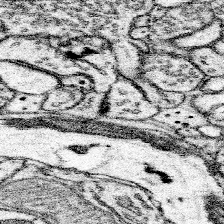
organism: Mouse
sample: Somatosensory cortex neuropil